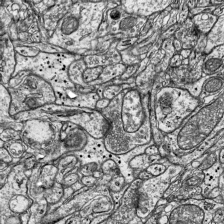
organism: Mouse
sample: Visual Cortex